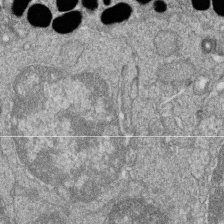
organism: Zebrafish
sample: Cilia; retinal pigment epithelium